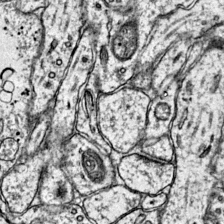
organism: Mouse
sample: Primary visual cortex